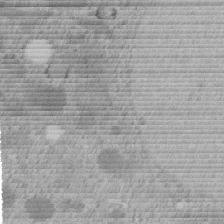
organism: C. elegans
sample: C. elegans embryo early stage